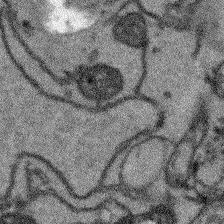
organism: Arabidopsis thaliana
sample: Root tip